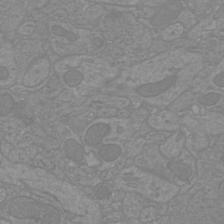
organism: Mouse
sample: Cortical neurons